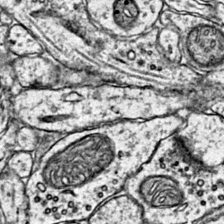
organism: Mouse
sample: Primary visual cortex